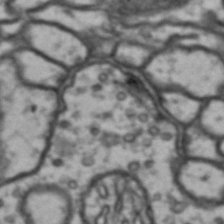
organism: Drosophila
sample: Brain